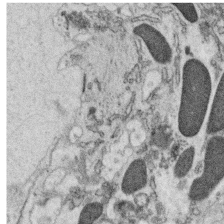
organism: C. elegans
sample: C. elegans oocyte; sperm cells